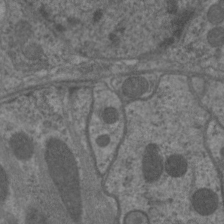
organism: C. elegans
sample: Pharynx